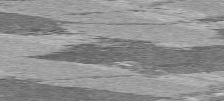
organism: C57BL Mouse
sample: Heart